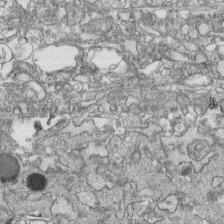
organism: Human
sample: CRL-1474